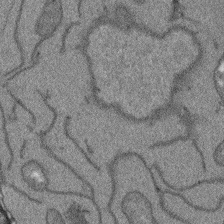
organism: Arabidopsis thaliana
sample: Root tip